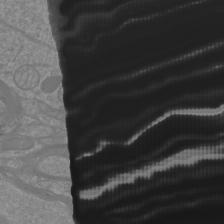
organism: Mouse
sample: Cortical neurons